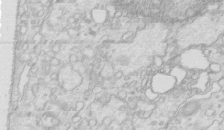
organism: Mouse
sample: Multiciliated cells